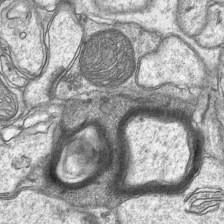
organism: Mouse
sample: CA1 Hippocampus